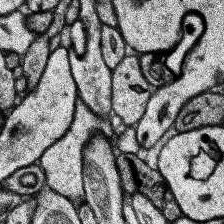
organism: Human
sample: Temporal Lobe